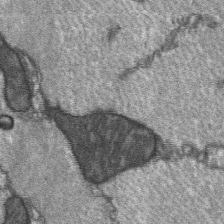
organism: C57BL Mouse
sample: Soleus